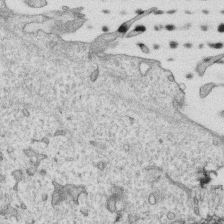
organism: Human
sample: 1205lu cells